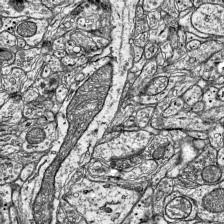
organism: Mouse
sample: Visual Cortex